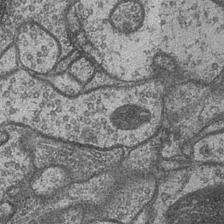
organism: Drosophila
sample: Optic medulla